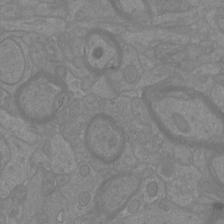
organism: Mouse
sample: Cortical neurons